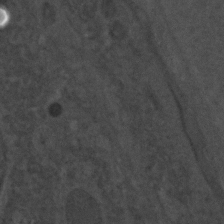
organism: C. elegans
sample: C. elegans embryo